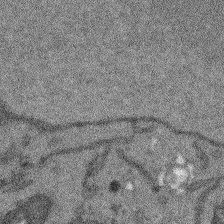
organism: Arabidopsis thaliana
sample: Root tip